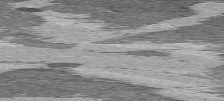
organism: C57BL Mouse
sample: Heart